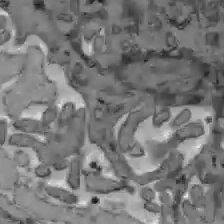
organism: C57BL Mouse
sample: Liver